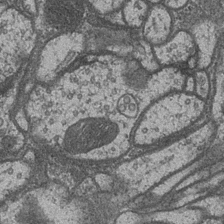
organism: Drosophila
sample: Optic medulla